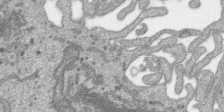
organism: Human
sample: Lung epithelial cells infected with SARS-CoV-2